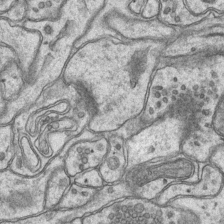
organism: Mouse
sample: CA1 Hippocampus